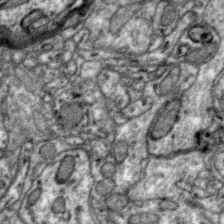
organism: Zebra finch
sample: Brain